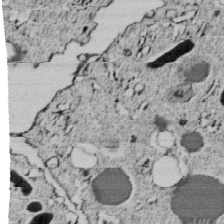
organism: C. elegans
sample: C. elegans embryo early stage